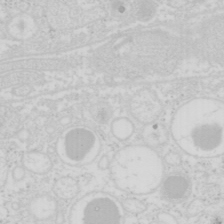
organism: Mouse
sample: Pancreas